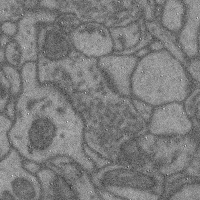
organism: Mouse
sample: Cerebral cortex